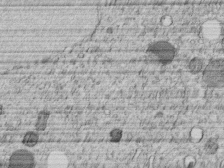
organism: C. elegans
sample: C. elegans embryo early stage